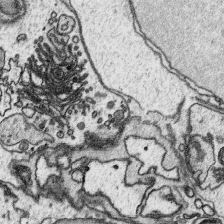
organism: Platynereis dumerilii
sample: Parapodia